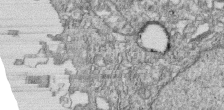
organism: Human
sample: HeLa cell HIV synapse